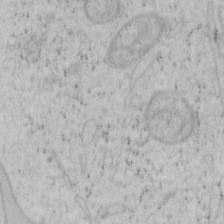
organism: Human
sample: HeLa cells